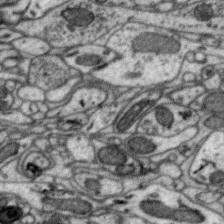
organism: Zebra finch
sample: Brain